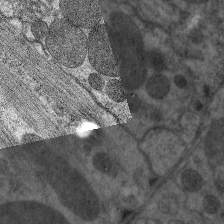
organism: C. elegans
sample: Pharynx